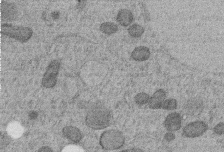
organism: C. elegans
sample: C. elegans embryo early stage